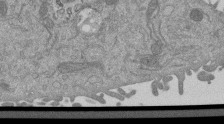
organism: Mouse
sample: ED-1 cell nuclei; centrioles